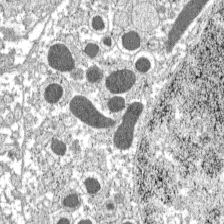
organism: C57BL Mouse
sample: Pancreatic islet